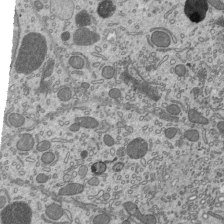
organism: Mouse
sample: Mouse epididymis efferent ductule cilia